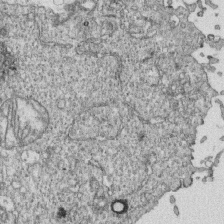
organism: Human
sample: HeLa cell HIV synapse